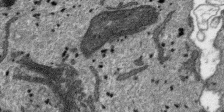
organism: Human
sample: Lung epithelial cells, uninfected (mock) control